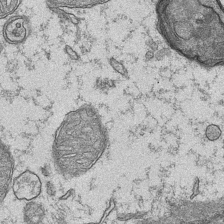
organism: Mouse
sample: CA1 Hippocampus